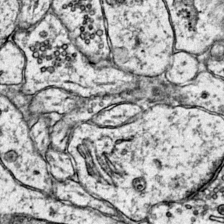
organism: Mouse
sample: Primary visual cortex